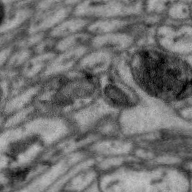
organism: Zebra finch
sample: Brain